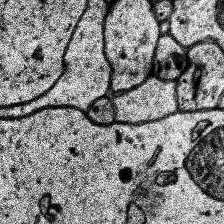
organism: Human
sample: Temporal Lobe